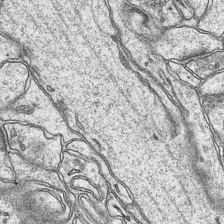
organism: Mouse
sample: CA1 Hippocampus